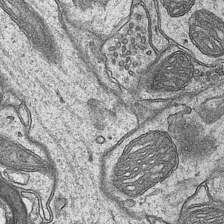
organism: Mouse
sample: CA1 Hippocampus